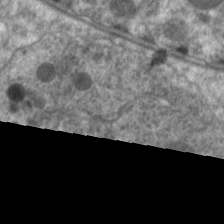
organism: C. elegans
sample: Pharynx